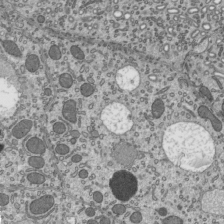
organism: Mouse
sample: Mouse epididymis efferent ductule cilia